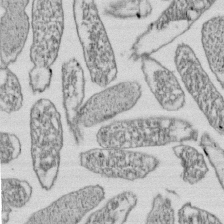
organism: E. coli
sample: Bacterial nucleoid